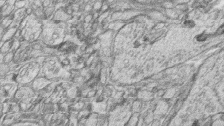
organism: Zebrafish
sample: synaptic ribbons in rod cells and cone cells